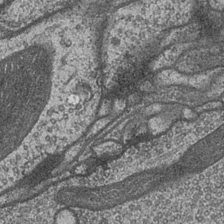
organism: Drosophila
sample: Optic medulla